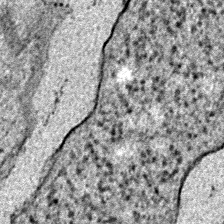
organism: E. coli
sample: E. Coli Bacteria